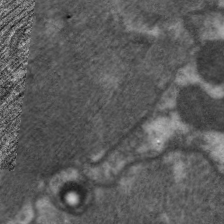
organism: C. elegans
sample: Pharynx